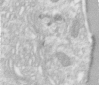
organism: Human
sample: Centriole in RPE cells